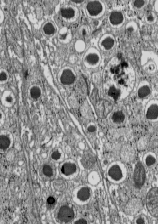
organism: C57BL Mouse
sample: Pancreatic islet